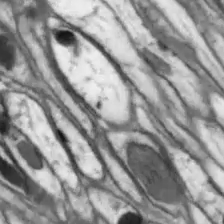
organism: Drosophila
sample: Optic lobe